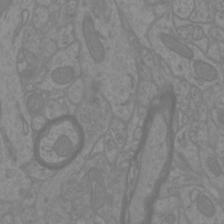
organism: Mouse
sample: Cortical neurons